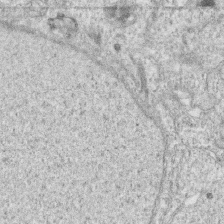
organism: Human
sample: HeLa cell HIV synapse